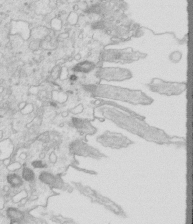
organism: Mouse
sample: Multiciliated cells